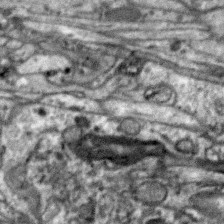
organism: Zebra finch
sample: Brain